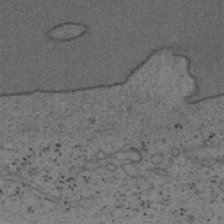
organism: Human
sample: HeLa cells